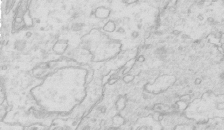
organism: Mouse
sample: Multiciliated cells